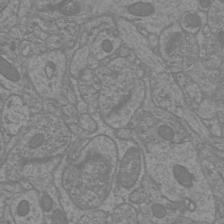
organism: Mouse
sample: Cortical neurons